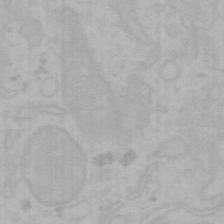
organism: Mouse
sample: Choroid plexus